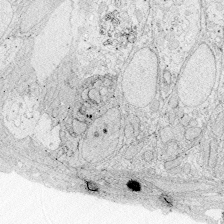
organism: Zebrafish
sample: Whole-Brain